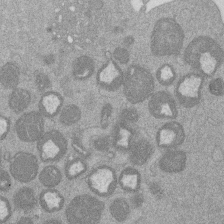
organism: Mouse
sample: Dividing mouse embryo 1 cell stage